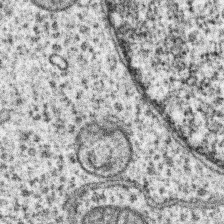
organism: Human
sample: HeLa cells